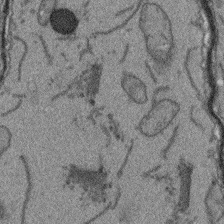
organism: Arabidopsis thaliana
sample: Root tip